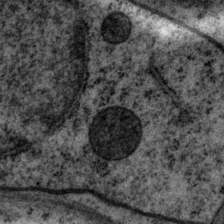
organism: P. pacificus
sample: Pharynx